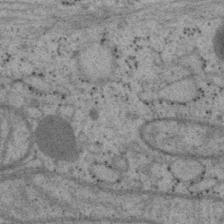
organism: Human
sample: HeLa cells